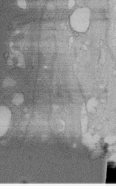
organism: Human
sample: Melanocyte Keratinocyte synapse skin construct